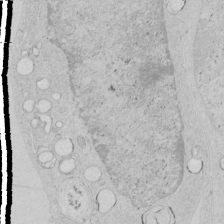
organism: Human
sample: Mitochondria in HCT116 cells